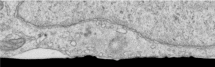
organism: Human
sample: Centriole in RPE cells